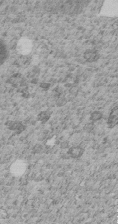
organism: C. elegans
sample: C. elegans embryo early stage